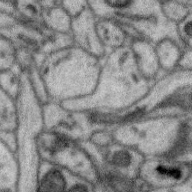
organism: Zebra finch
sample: Brain